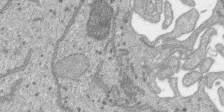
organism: Human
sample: Lung epithelial cells infected with SARS-CoV-2